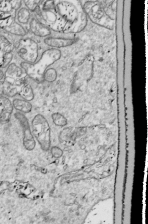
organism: Drosophila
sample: Cell division; meiosis; drosophila spermatocytes